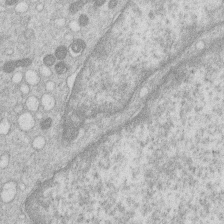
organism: Human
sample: Macrophage cells